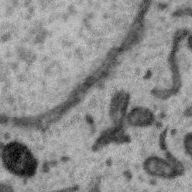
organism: Zebra finch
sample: Brain